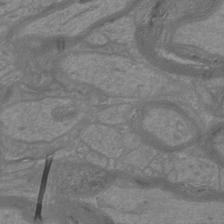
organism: Mouse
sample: Cortical neurons